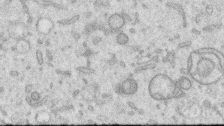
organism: Human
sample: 1205lu cells